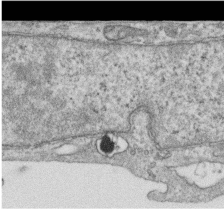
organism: Human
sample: Centriole in RPE cells